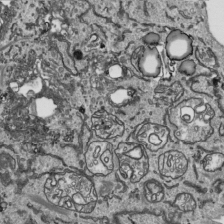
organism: Human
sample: Mitochondria in HCT116 cells